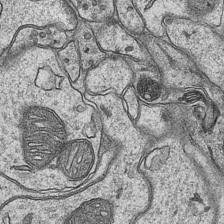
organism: Mouse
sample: CA1 Hippocampus